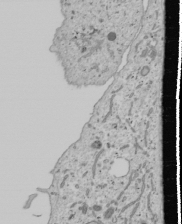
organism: Human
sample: Mitochondria in U2OS cells